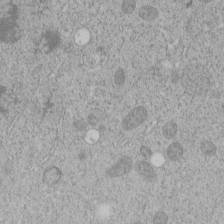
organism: C. elegans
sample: C. elegans embryo early stage